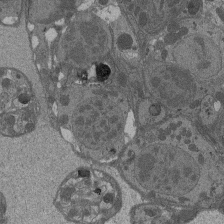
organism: Drosophila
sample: Antenna